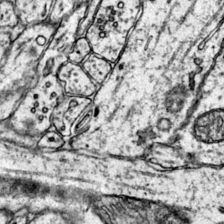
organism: Mouse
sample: Primary visual cortex